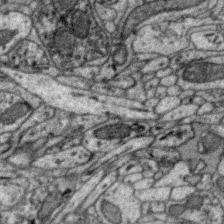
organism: Zebra finch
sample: Brain